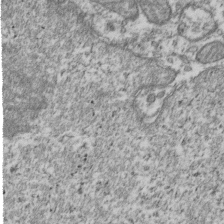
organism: Human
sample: Activated Jurkat CD4+ T cells